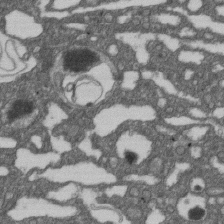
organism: Drosophila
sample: Nephrocyte